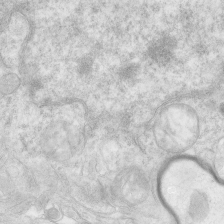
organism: Human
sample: Neocortex